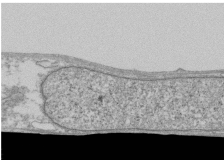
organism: Human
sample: Fibroblast cells